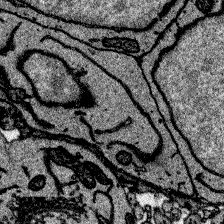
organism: Zebrafish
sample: Larval olfactory bulb